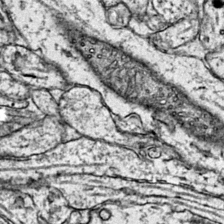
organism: Mouse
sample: Primary visual cortex